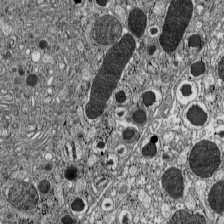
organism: C57BL Mouse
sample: Pancreatic islet